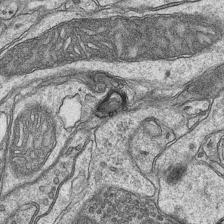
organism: Mouse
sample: CA1 Hippocampus